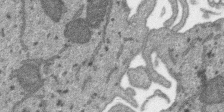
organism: Human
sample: Lung epithelial cells infected with SARS-CoV-2